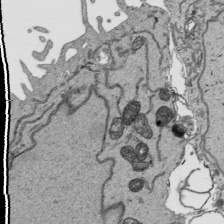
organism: Human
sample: Mitochondria in HCT116 cells